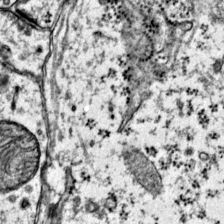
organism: Mouse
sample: Primary visual cortex